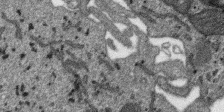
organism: Human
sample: Lung epithelial cells infected with SARS-CoV-2